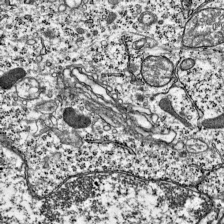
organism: Mouse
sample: Visual Cortex